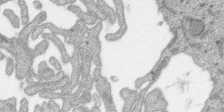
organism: Human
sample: Lung epithelial cells infected with SARS-CoV-2